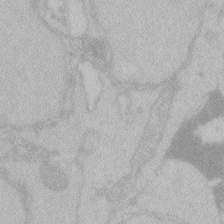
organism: Zebrafish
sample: Macrophage infected with Toxoplasma gondii